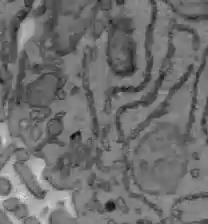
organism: C57BL Mouse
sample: Liver